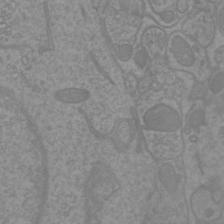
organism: Mouse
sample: Cortical neurons